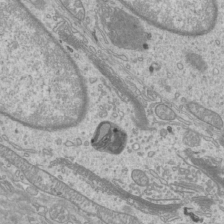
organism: Mouse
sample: Cilia; mouse epididymis